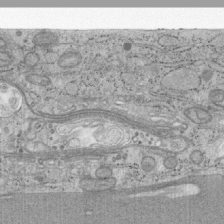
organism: Human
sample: HeLa cells